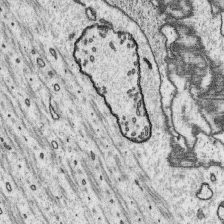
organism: Platynereis dumerilii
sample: Parapodia